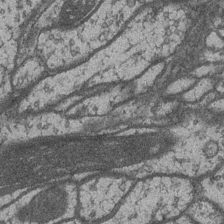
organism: Drosophila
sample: Optic medulla